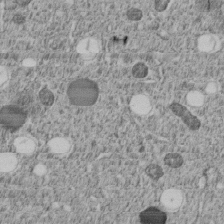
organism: C. elegans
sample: C. elegans embryo early stage